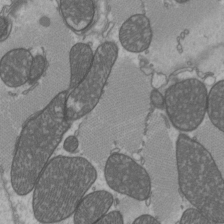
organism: C57BL Mouse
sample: Heart